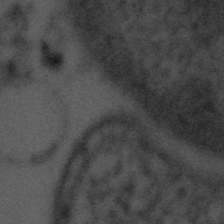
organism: Tuwongella immobilis